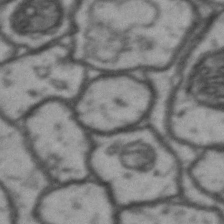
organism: Drosophila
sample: Brain